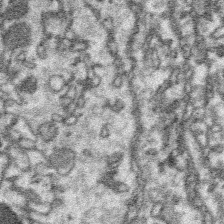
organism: Platynereis dumerilii